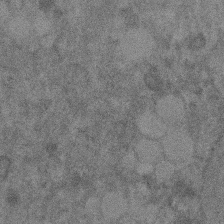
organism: Mouse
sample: Dividing mouse embryo 1 cell stage